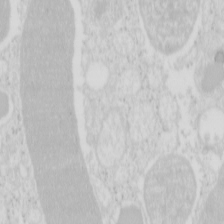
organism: Mouse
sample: Pancreas